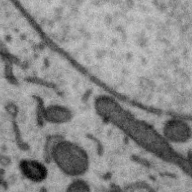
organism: Zebra finch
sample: Brain